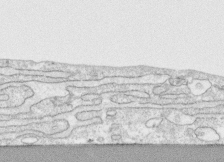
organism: Human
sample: CRL-1474